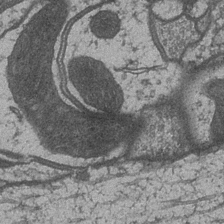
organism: Drosophila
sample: Optic medulla